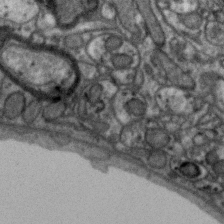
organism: Zebra finch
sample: Brain